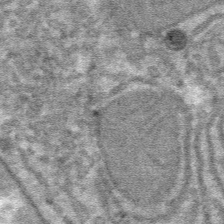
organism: Mouse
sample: Mouse hepatocytes